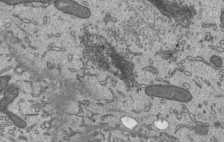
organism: Mouse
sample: Mouse epididymis efferent ductule cilia